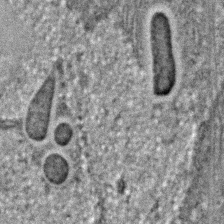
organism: C. elegans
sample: C. elegans embryo